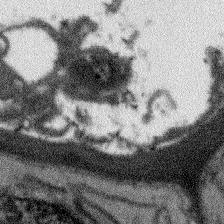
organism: Arabidopsis thaliana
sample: Root tip